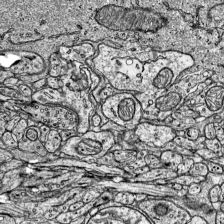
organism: Mouse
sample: Visual Cortex